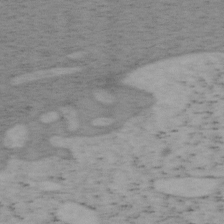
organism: Mouse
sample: OT-I killer T cells with ID8 ovarian cancer cells